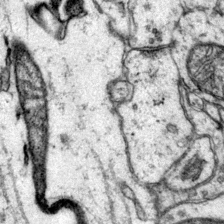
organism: Mouse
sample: Primary visual cortex